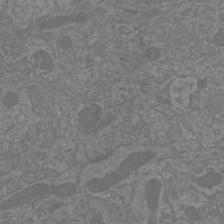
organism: Mouse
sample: Cortical neurons